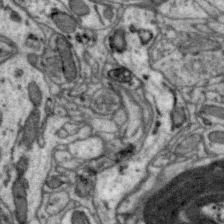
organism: Zebra finch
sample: Brain